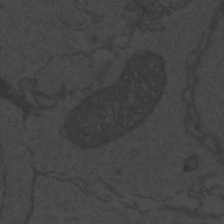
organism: Zebrafish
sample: Macrophage infected with Toxoplasma gondii